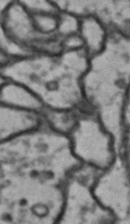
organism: Drosophila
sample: Brain